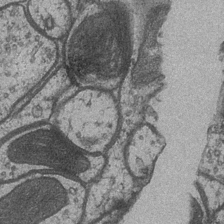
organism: Drosophila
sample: Optic medulla